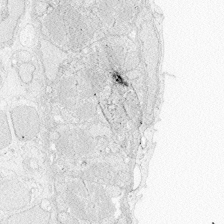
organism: Zebrafish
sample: Whole-Brain